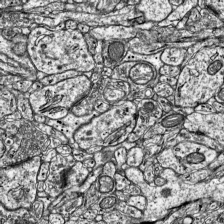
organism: Mouse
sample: Visual Cortex